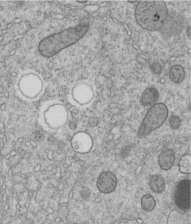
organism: C. elegans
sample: C. elegans embryo early stage